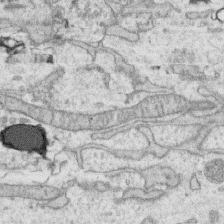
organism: Human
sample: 1205lu cells